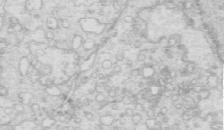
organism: Mouse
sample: Multiciliated cells